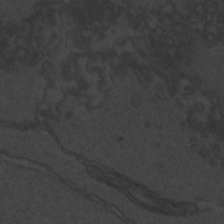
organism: Zebrafish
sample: Macrophage infected with Toxoplasma gondii